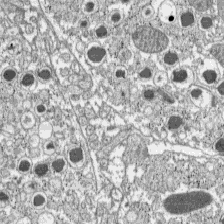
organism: C57BL Mouse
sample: Pancreatic islet